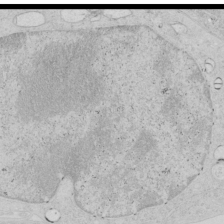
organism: Human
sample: Mitochondria in HCT116 cells